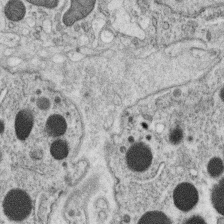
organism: C. elegans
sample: C. elegans oocyte; sperm cells